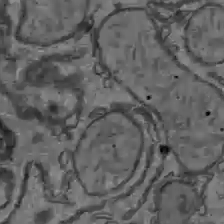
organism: C57BL Mouse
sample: Liver